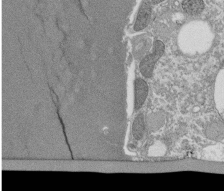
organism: Tetrahymena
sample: Cilia in tetrahymena